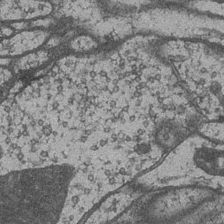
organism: Drosophila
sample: Optic medulla